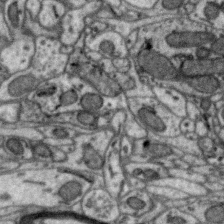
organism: Zebra finch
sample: Brain